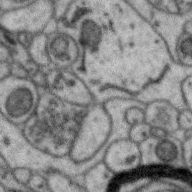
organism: Zebra finch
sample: Brain